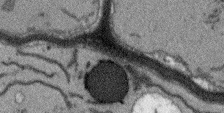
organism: Arabidopsis thaliana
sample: Root tip